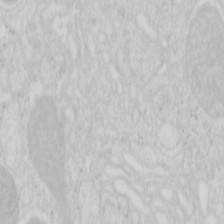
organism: Mouse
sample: Pancreas